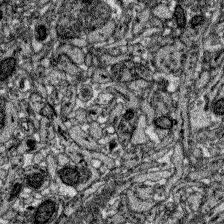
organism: Zebrafish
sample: Larval olfactory bulb